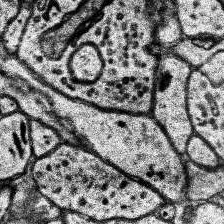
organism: Human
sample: Temporal Lobe